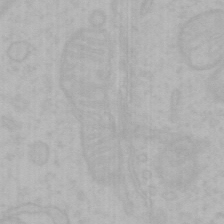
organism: Mouse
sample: Choroid plexus